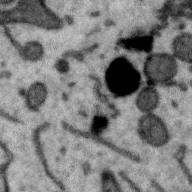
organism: Zebra finch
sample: Brain